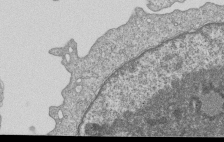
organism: Human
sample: MDA-MB-231 cells